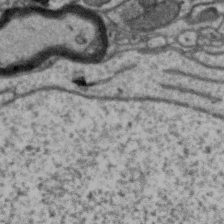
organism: Zebra finch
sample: Brain